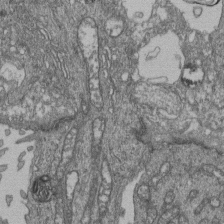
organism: Human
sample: Retinal organoid Rod and Cone cells